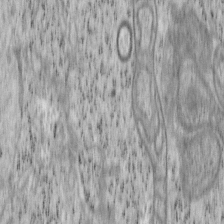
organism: Human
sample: HeLa cells